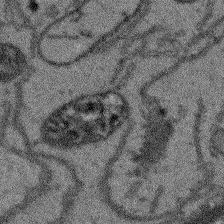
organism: Arabidopsis thaliana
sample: Root tip